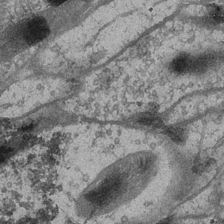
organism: Drosophila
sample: Optic medulla